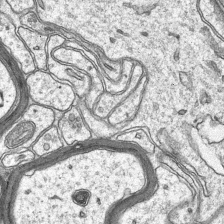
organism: Mouse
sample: CA1 Hippocampus